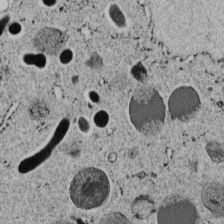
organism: C. elegans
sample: C. elegans embryo early stage